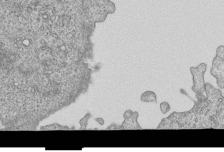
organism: Human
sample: MDA-MB-231 cells